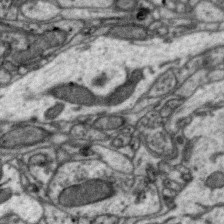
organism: Zebra finch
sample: Brain